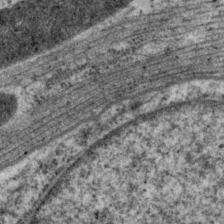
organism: P. pacificus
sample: Pharynx